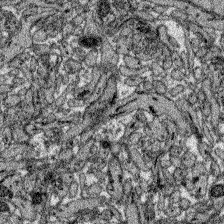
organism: Zebrafish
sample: Larval olfactory bulb